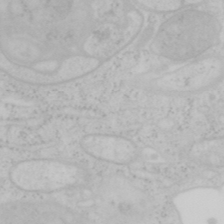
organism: Mouse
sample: OT-I killer T cells with ID8 ovarian cancer cells